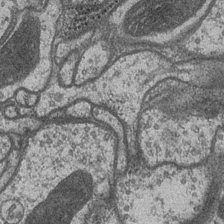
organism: Drosophila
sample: Optic medulla